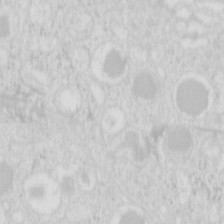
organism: Mouse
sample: Pancreas